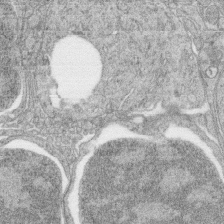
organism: Zebrafish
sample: synaptic ribbons in rod cells and cone cells